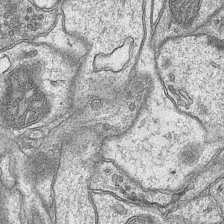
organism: Mouse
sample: CA1 Hippocampus